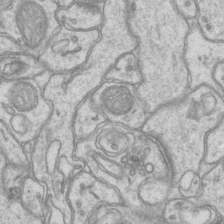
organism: Mouse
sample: CA1 Hippocampus